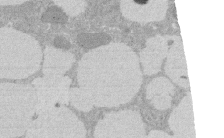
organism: Rat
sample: Salivary granule